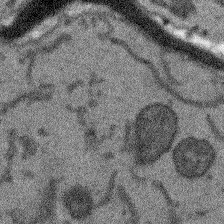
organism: Arabidopsis thaliana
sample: Root tip